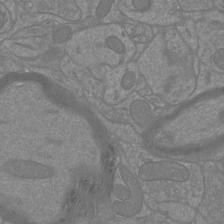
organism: Mouse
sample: Cortical neurons